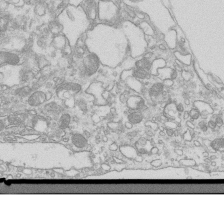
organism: Mouse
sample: Macrophages